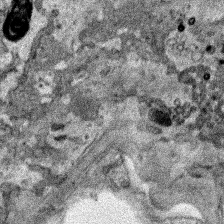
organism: Human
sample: Mitochondria in HCT116 cells